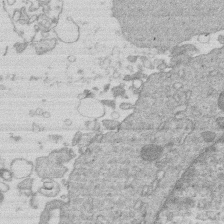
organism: Human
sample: Macrophage cells